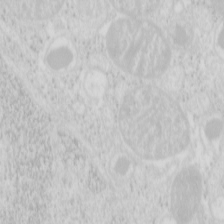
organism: Mouse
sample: Pancreas